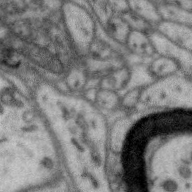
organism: Zebra finch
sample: Brain